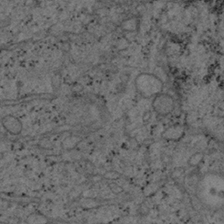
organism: Human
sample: HeLa cells